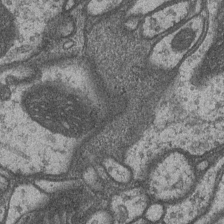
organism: Drosophila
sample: Optic medulla